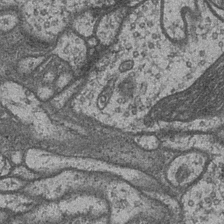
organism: Drosophila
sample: Optic medulla